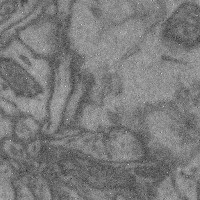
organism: Mouse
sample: Cerebral cortex